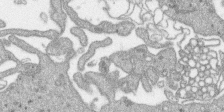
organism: Human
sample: Lung epithelial cells infected with SARS-CoV-2